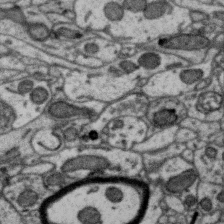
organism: Zebra finch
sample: Brain